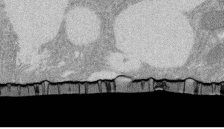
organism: Rat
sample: Salivary granule